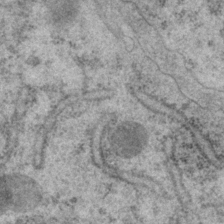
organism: P. pacificus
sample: Pharynx